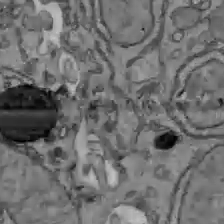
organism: C57BL Mouse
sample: Liver